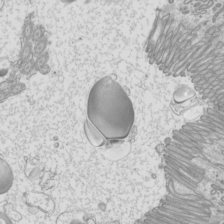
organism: Mouse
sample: Cilia; mouse epididymis